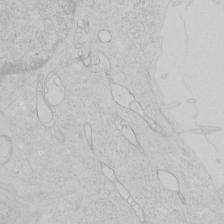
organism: Human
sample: Mitochondria in HCT116 cells